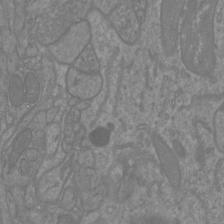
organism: Mouse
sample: Cortical neurons